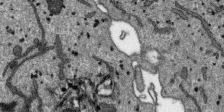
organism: Human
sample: Lung epithelial cells, uninfected (mock) control